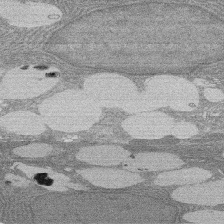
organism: Rat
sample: Salivary granule